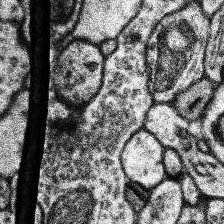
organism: Human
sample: Temporal Lobe